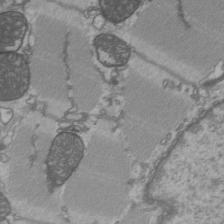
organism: C57BL Mouse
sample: Heart